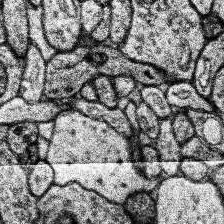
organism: Human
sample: Temporal Lobe